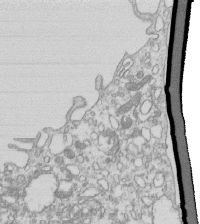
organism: Mouse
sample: Macrophages